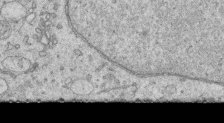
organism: Human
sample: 1205lu cells